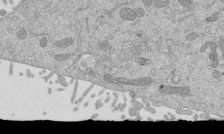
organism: Mouse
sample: ED-1 cell nuclei; centrioles